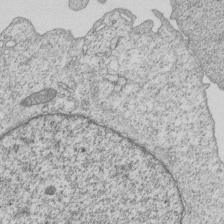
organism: Human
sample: MDA-MB-231 cells